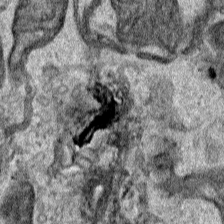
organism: Human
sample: Mitochondria in HCT116 cells